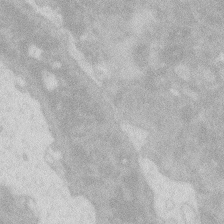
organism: Zebrafish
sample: Macrophage